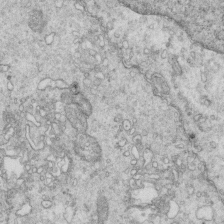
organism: Mouse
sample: Multiciliated cells